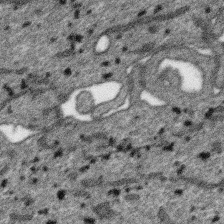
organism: Human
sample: Lung epithelial cells infected with SARS-CoV-2